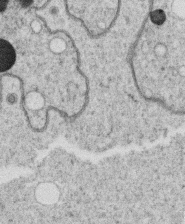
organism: C. elegans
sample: C. elegans oocyte; sperm cells